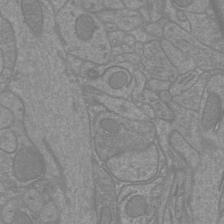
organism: Mouse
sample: Cortical neurons